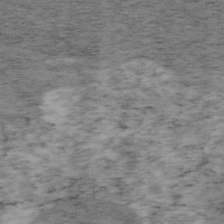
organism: Mouse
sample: OT-I killer T cells with ID8 ovarian cancer cells